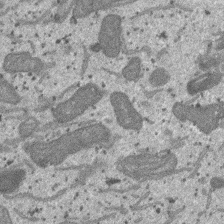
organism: Human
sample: Lung epithelial cells infected with SARS-CoV-2